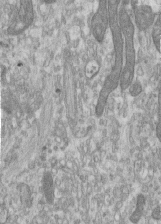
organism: Human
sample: Centriole in RPE cells